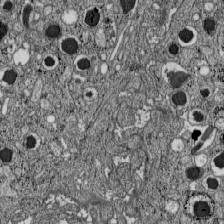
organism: C57BL Mouse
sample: Pancreatic islet